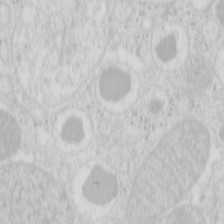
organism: Mouse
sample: Pancreas